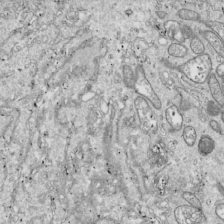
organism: Drosophila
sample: Cell division; meiosis; drosophila spermatocytes